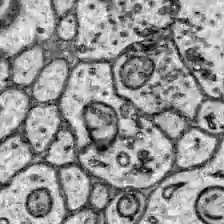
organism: Zebrafish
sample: Brain